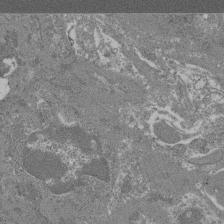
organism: Mouse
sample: Glomerulus